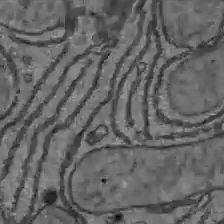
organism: C57BL Mouse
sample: Liver